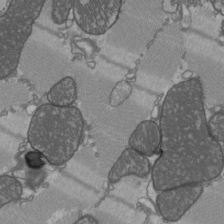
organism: C57BL Mouse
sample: Heart